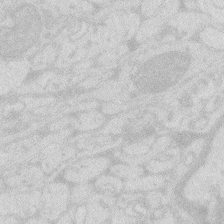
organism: Zebrafish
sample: Macrophage